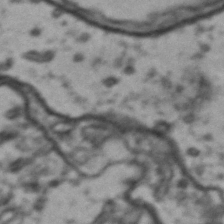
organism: Drosophila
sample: Brain